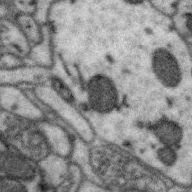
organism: Zebra finch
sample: Brain